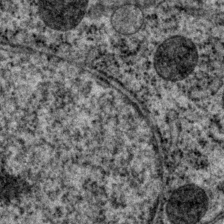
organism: P. pacificus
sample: Pharynx